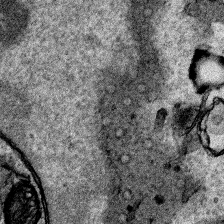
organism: Human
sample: Mitochondria in HCT116 cells